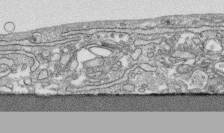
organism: Human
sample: CRL-1474